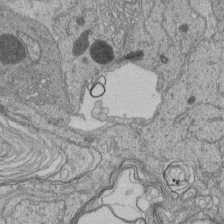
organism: Human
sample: Retinal organoid Rod and Cone cells